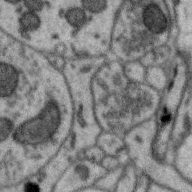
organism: Zebra finch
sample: Brain